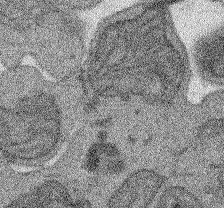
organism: Human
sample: HeLa cells